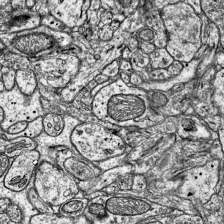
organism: Mouse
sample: Visual Cortex